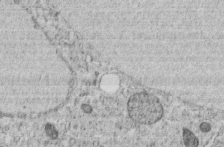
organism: C. elegans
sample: C. elegans embryo early stage